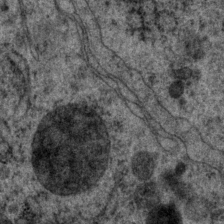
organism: P. pacificus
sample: Pharynx